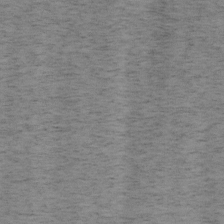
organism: Mouse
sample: OT-I killer T cells with ID8 ovarian cancer cells